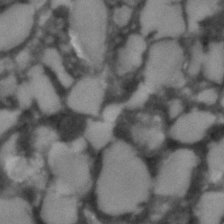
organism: C. elegans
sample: C. elegans embryo